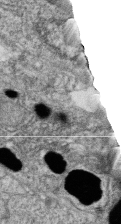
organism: Zebrafish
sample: Cilia; retinal pigment epithelium